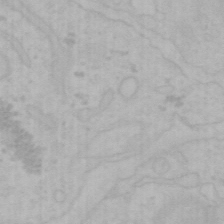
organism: Mouse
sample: Choroid plexus